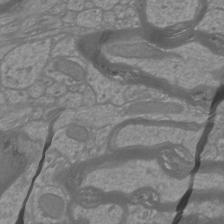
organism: Mouse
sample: Cortical neurons